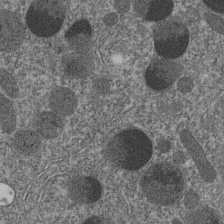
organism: C. elegans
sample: C. elegans embryo early stage